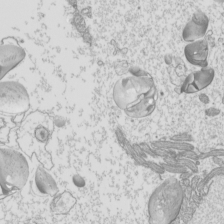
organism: Mouse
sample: Cilia; mouse epididymis